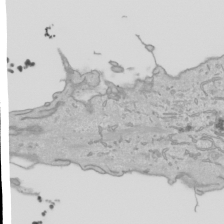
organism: Human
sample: Mitochondria in HCT116 cells